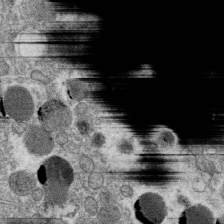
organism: C. elegans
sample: C. elegans oocyte; sperm cells